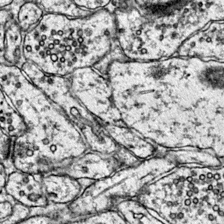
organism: Mouse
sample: Primary visual cortex